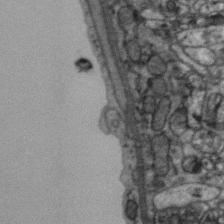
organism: Zebra finch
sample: Brain